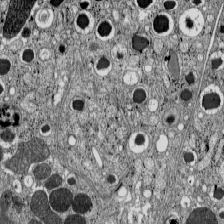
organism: C57BL Mouse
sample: Pancreatic islet